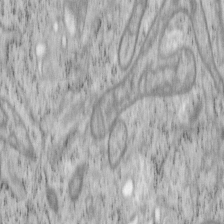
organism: Human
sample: HeLa cells